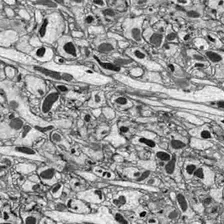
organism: Drosophila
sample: Optic lobe